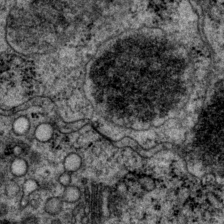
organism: P. pacificus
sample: Pharynx